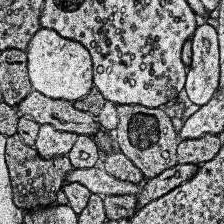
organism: Human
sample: Temporal Lobe